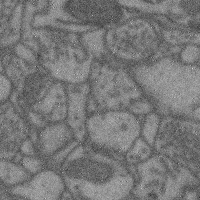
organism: Mouse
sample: Cerebral cortex